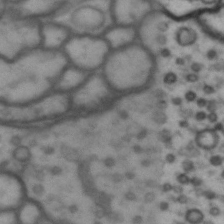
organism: Drosophila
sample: Brain